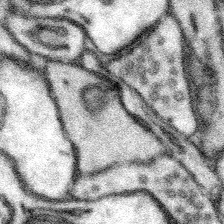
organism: Mouse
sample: Somatosensory cortex neuropil